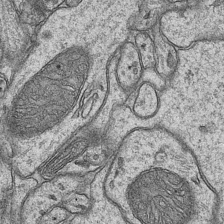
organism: Mouse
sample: CA1 Hippocampus